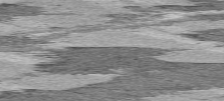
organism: C57BL Mouse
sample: Heart